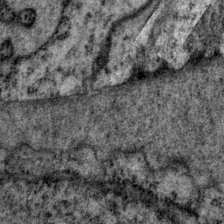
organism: P. pacificus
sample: Pharynx